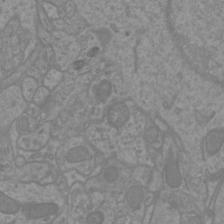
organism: Mouse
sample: Cortical neurons